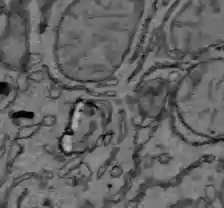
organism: C57BL Mouse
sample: Liver